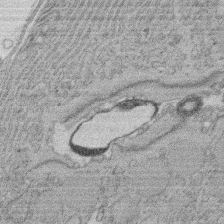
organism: Rat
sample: Salivary granule